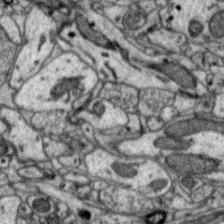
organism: Zebra finch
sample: Brain